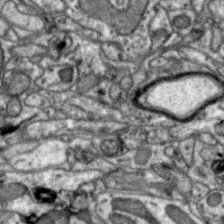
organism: Zebra finch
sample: Brain